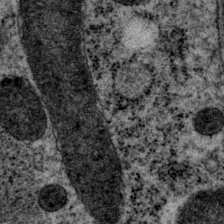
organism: P. pacificus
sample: Pharynx